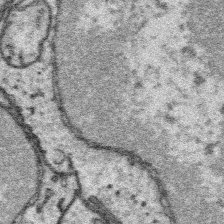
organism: Platynereis dumerilii